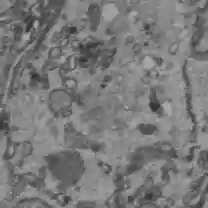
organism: C57BL Mouse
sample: Liver